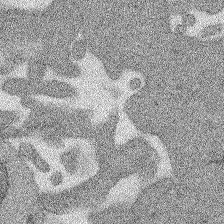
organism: Human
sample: HeLa cells